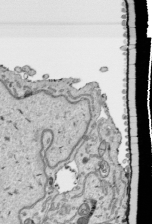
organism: Human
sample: Mitochondria in HCT116 cells